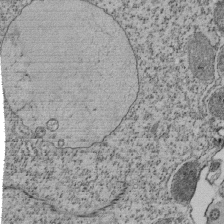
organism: Tetrahymena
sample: Cilia in tetrahymena